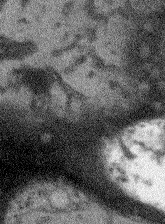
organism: Arabidopsis thaliana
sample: Root tip